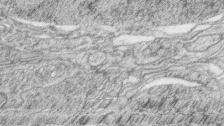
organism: Zebrafish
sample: synaptic ribbons in rod cells and cone cells